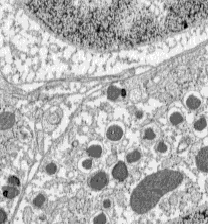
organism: C57BL Mouse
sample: Pancreatic islet